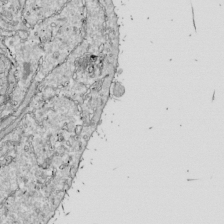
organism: Drosophila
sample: Cell division; meiosis; drosophila spermatocytes